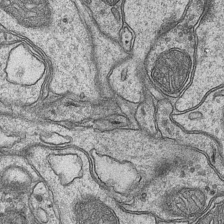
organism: Mouse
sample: CA1 Hippocampus